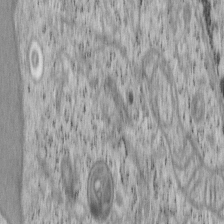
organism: Human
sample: HeLa cells